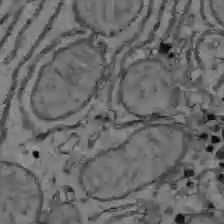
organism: C57BL Mouse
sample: Liver